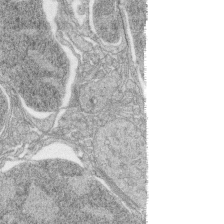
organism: Zebrafish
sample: synaptic ribbons in rod cells and cone cells